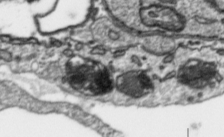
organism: Toxoplasma gondii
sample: Parasites in a vacuole inside a host cell